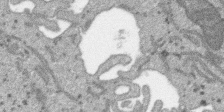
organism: Human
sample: Lung epithelial cells infected with SARS-CoV-2